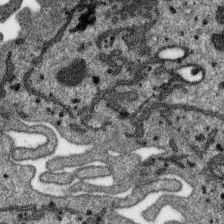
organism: Human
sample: Lung epithelial cells infected with SARS-CoV-2